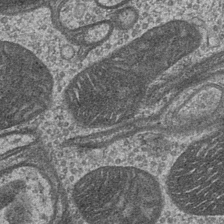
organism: Drosophila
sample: Optic medulla